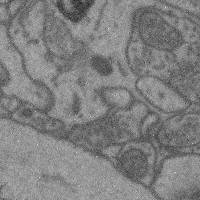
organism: Mouse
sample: Cerebral cortex